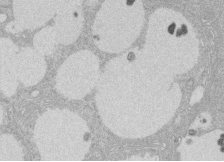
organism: Rat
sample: Salivary granule